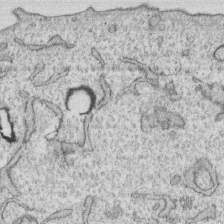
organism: Human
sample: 1205lu cells